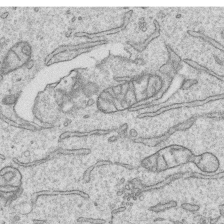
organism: Human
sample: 1205lu cells